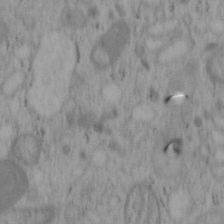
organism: Mouse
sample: OT-I killer T cells with ID8 ovarian cancer cells